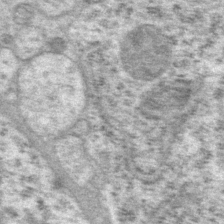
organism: P. pacificus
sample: Pharynx